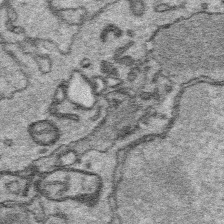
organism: Platynereis dumerilii